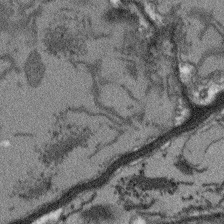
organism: Arabidopsis thaliana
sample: Root tip